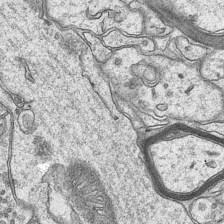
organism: Mouse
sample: CA1 Hippocampus